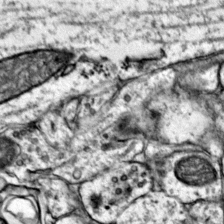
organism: Mouse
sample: Primary visual cortex